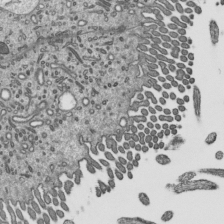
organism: Mouse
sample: Mouse epididymis efferent ductule cilia